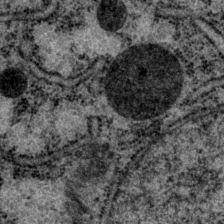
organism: P. pacificus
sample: Pharynx